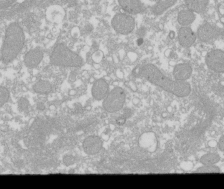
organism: Xenopus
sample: Cilia; centrioles in frog embryo cells